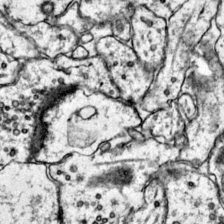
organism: Mouse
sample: Primary visual cortex